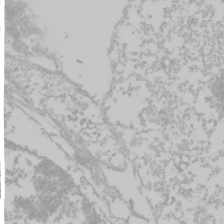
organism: Mouse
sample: Cancer cell death in ED-1 cells